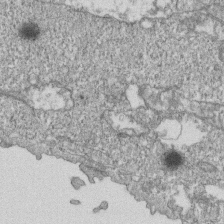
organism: Human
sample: HeLa cell HIV synapse